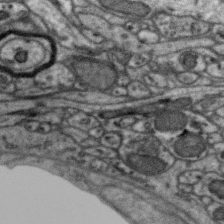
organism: Zebra finch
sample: Brain